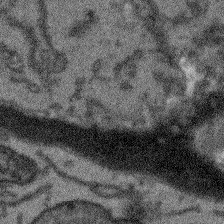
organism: Arabidopsis thaliana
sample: Root tip